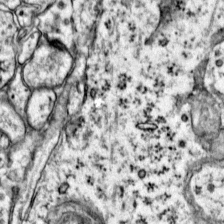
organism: Mouse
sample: Primary visual cortex